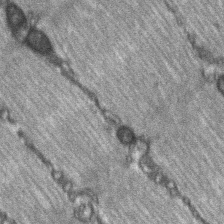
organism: C57BL Mouse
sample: Soleus